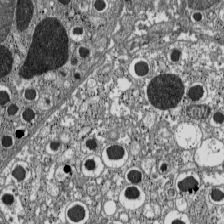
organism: C57BL Mouse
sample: Pancreatic islet